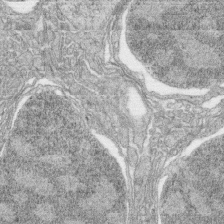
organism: Zebrafish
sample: synaptic ribbons in rod cells and cone cells